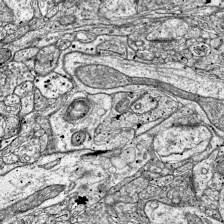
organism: Mouse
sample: Visual Cortex